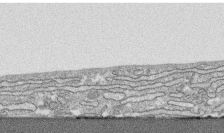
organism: Human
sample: CRL-1474